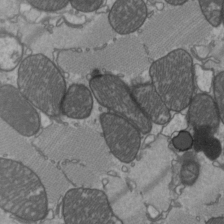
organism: C57BL Mouse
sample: Heart